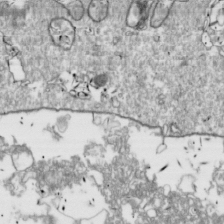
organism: Drosophila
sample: Cell division; meiosis; drosophila spermatocytes